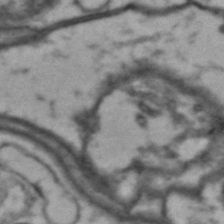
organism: Drosophila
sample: Brain